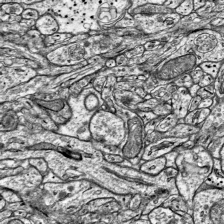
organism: Mouse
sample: Visual Cortex